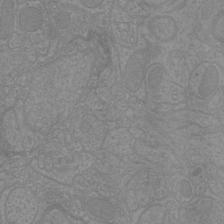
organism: Mouse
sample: Cortical neurons